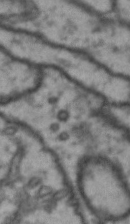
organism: Drosophila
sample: Brain